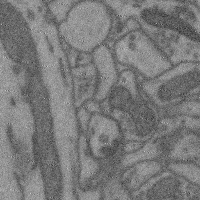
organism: Mouse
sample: Cerebral cortex